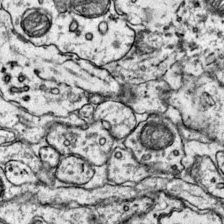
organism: Mouse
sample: Primary visual cortex